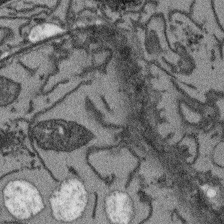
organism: Arabidopsis thaliana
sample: Root tip